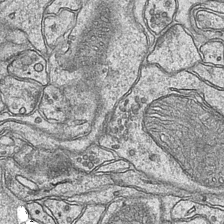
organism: Mouse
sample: CA1 Hippocampus